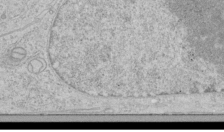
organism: Human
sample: Mitochondria in HCT116 cells